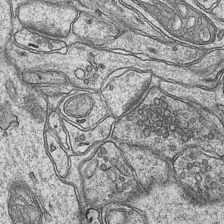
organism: Mouse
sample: CA1 Hippocampus